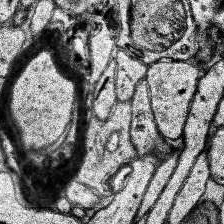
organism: Human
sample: Temporal Lobe